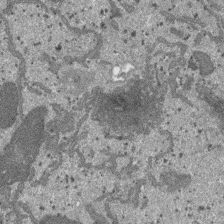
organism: Human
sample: Lung epithelial cells infected with SARS-CoV-2